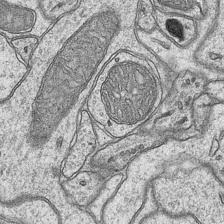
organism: Mouse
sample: CA1 Hippocampus